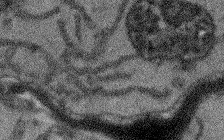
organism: Arabidopsis thaliana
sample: Root tip